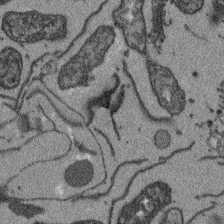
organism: Arabidopsis thaliana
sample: Root tip